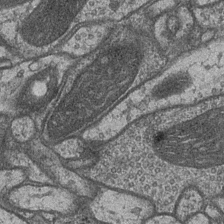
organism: Drosophila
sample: Optic medulla